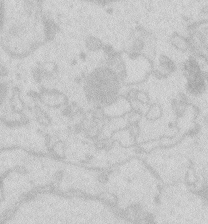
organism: Zebrafish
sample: Macrophage